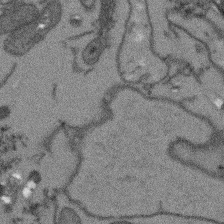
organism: Arabidopsis thaliana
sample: Root tip